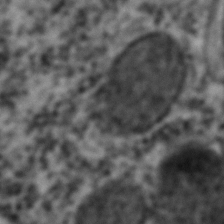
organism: C. elegans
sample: C. elegans embryo